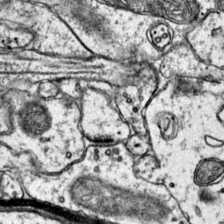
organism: Mouse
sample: Primary visual cortex